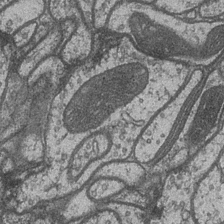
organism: Drosophila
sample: Optic medulla